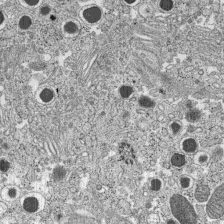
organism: C57BL Mouse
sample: Pancreatic islet